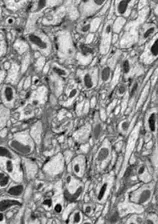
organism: Drosophila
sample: Optic lobe